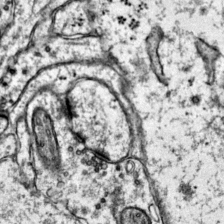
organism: Mouse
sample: Primary visual cortex